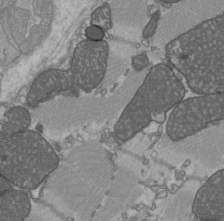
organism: C57BL Mouse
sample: Heart